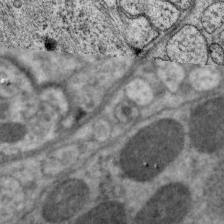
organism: C. elegans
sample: Pharynx